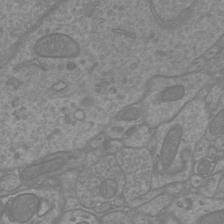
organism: Mouse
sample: Cortical neurons